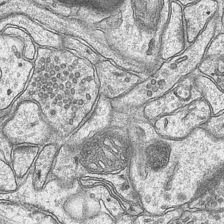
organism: Mouse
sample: CA1 Hippocampus